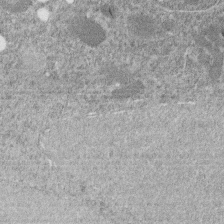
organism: C. elegans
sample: C. elegans embryo early stage